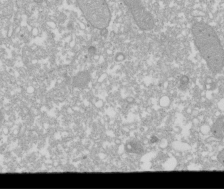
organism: Xenopus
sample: Cilia; centrioles in frog embryo cells